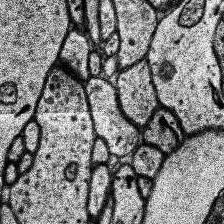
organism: Human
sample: Temporal Lobe